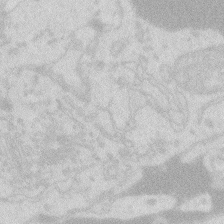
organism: Zebrafish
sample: Macrophage